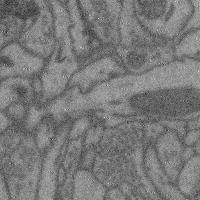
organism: Mouse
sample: Cerebral cortex